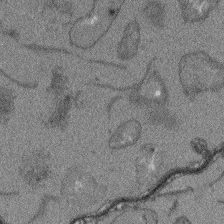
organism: Arabidopsis thaliana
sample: Root tip